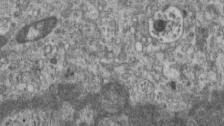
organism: Mouse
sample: Centriole in ependymal cells